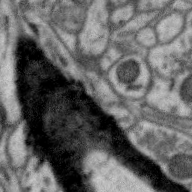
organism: Zebra finch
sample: Brain